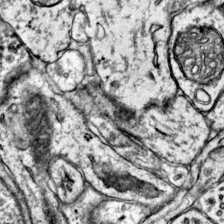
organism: Mouse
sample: Primary visual cortex